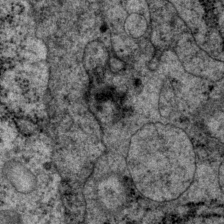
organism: P. pacificus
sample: Pharynx